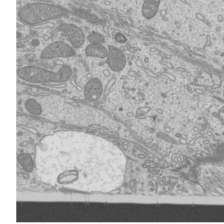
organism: Mouse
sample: Cilia; mouse epididymis